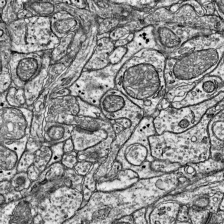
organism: Mouse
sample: Visual Cortex